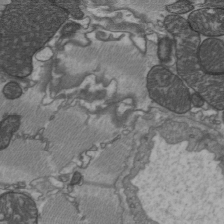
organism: C57BL Mouse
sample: Heart